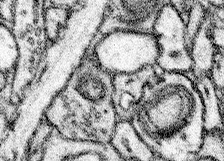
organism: Mouse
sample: Somatosensory cortex neuropil